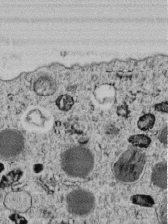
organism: C. elegans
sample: C. elegans embryo early stage